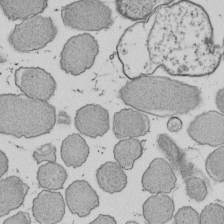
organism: E. coli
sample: Bacterial nucleoid